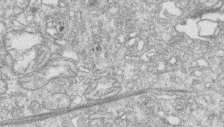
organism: Human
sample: HeLa cell HIV synapse